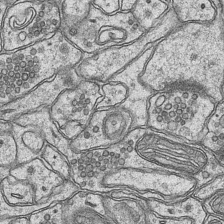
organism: Mouse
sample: CA1 Hippocampus